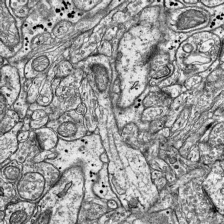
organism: Mouse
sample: Visual Cortex